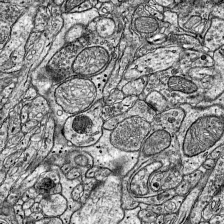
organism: Mouse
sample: Visual Cortex